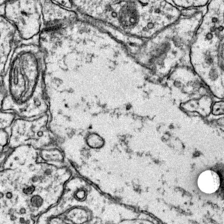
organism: Mouse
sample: Primary visual cortex